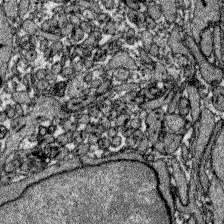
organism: Zebrafish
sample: Larval olfactory bulb